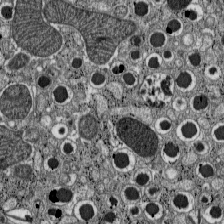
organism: C57BL Mouse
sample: Pancreatic islet